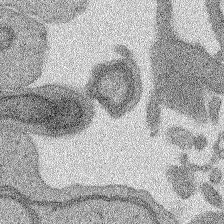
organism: Human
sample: HeLa cells